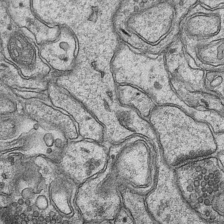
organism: Mouse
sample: CA1 Hippocampus